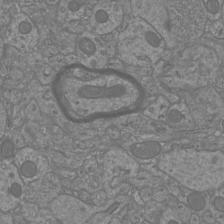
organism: Mouse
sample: Cortical neurons